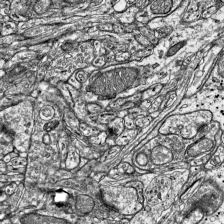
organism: Mouse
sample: Visual Cortex